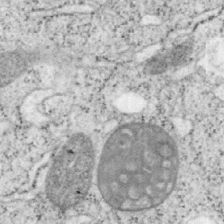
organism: Mouse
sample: OT-I killer T cells with ID8 ovarian cancer cells